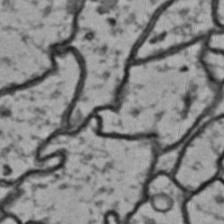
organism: Drosophila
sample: Brain